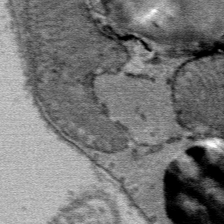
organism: Mouse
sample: Mouse Salivary gland